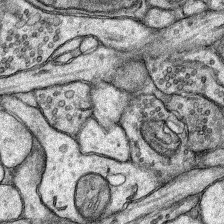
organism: Rat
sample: Hippocampus